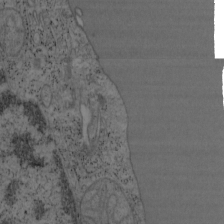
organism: Mouse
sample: OT-I killer T cells with ID8 ovarian cancer cells